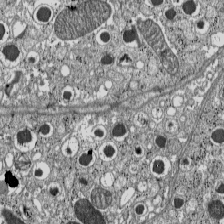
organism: C57BL Mouse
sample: Pancreatic islet